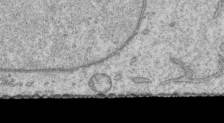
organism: Human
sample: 1205lu cells